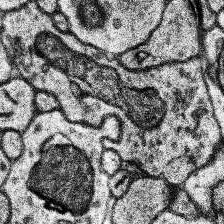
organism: Human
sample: Temporal Lobe